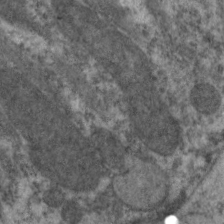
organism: C. elegans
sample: Pharynx